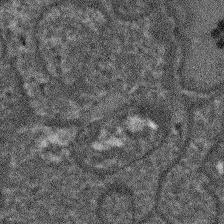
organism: Arabidopsis thaliana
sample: Root tip